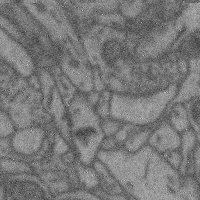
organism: Mouse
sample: Cerebral cortex